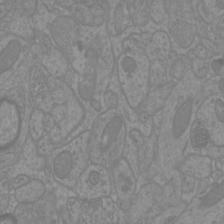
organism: Mouse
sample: Cortical neurons